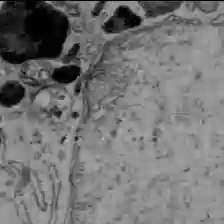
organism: C57BL Mouse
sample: Liver